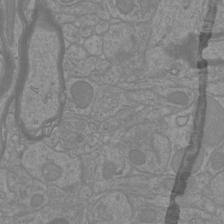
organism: Mouse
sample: Cortical neurons